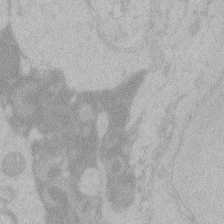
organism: Zebrafish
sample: Macrophage infected with Toxoplasma gondii